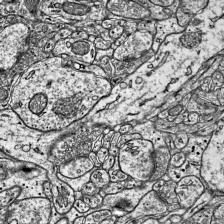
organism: Mouse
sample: Visual Cortex